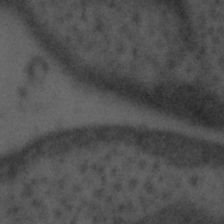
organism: Tuwongella immobilis